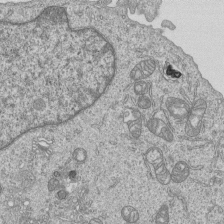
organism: Human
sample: MDA-MB-231 cells